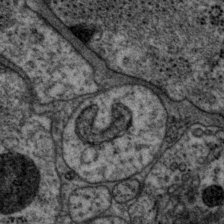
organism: P. pacificus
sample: Pharynx